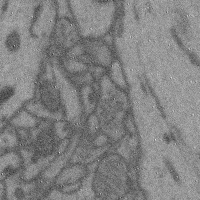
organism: Mouse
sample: Cerebral cortex